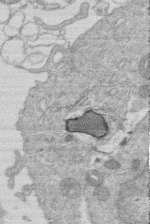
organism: Human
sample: Macrophage cells